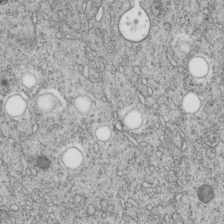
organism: C. elegans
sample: C. elegans embryo early stage